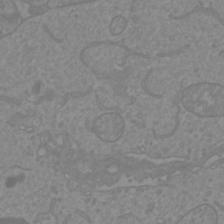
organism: Mouse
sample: Cortical neurons